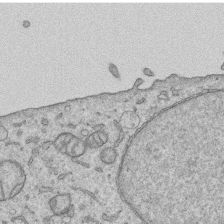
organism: Human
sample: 1205lu cells